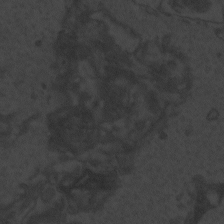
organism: Zebrafish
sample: Macrophage infected with Toxoplasma gondii